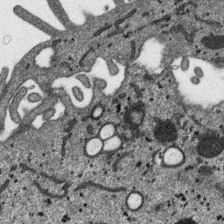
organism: Human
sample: Lung epithelial cells infected with SARS-CoV-2